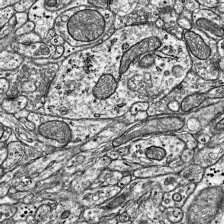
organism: Mouse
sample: Visual Cortex